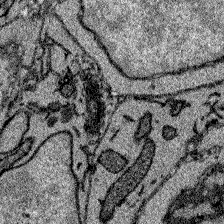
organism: Zebrafish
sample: Larval olfactory bulb